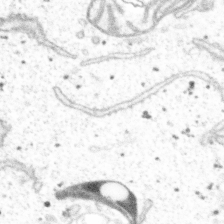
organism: Human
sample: HeLa cells